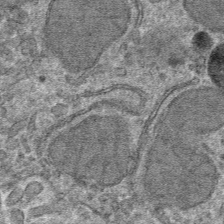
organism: Mouse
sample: Mouse hepatocytes